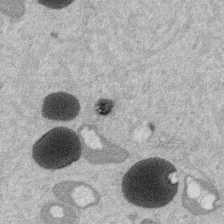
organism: Mouse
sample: Dividing mouse embryo 1 cell stage